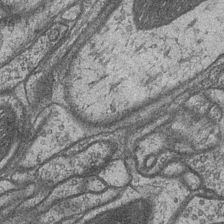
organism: Drosophila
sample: Optic medulla